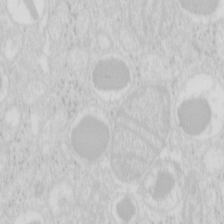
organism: Mouse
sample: Pancreas